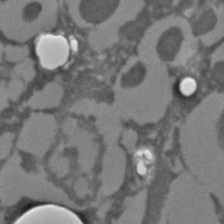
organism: C. elegans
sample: C. elegans embryo